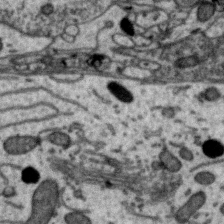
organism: Zebra finch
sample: Brain